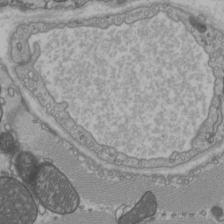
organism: C57BL Mouse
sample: Heart